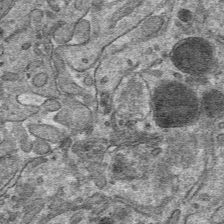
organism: Mouse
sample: Mouse hepatocytes